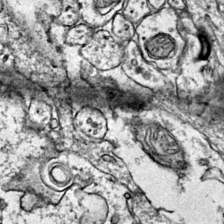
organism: Mouse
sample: Primary visual cortex